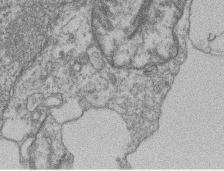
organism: Mouse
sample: T cell stromal cell synapse